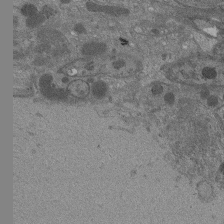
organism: Drosophila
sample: Antenna